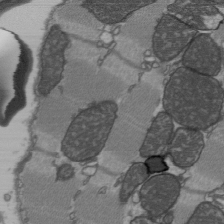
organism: C57BL Mouse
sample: Heart